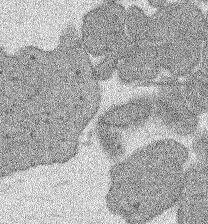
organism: Human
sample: HeLa cells